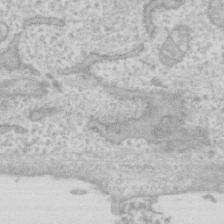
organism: Human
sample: Fibroblast cells